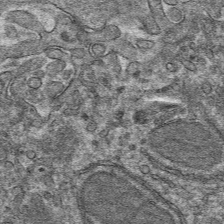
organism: Mouse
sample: Mouse hepatocytes